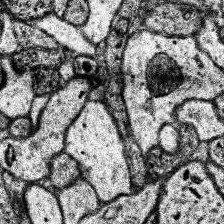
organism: Human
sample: Temporal Lobe